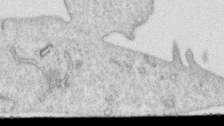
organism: Human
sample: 1205lu cells